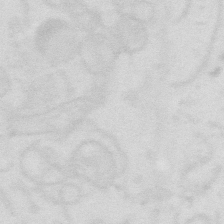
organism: Human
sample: HeLa cells